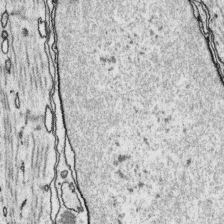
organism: Platynereis dumerilii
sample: Parapodia